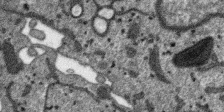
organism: Human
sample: Lung epithelial cells infected with SARS-CoV-2